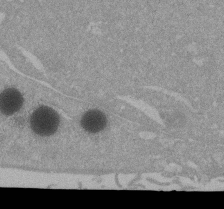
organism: Mouse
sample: ED-1 cell nuclei; centrioles